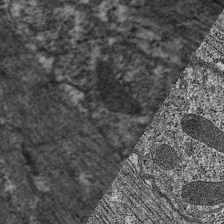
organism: C. elegans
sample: Pharynx